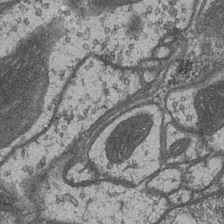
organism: Drosophila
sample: Optic medulla